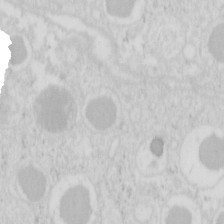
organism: Mouse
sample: Pancreas